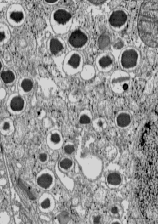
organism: C57BL Mouse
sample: Pancreatic islet